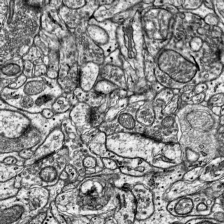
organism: Mouse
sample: Visual Cortex